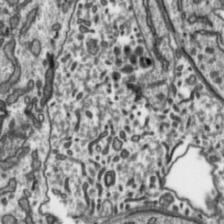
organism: Toxoplasma gondii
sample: Parasites in a vacuole inside a host cell